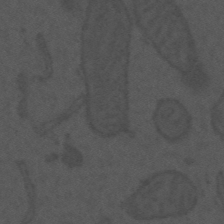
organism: Mouse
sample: Suprachiasmatic nucleus